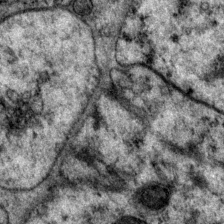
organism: P. pacificus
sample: Pharynx